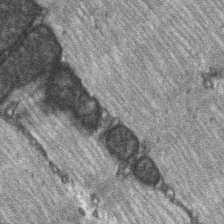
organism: C57BL Mouse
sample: Soleus